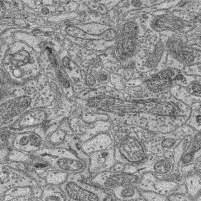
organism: Mouse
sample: Retina